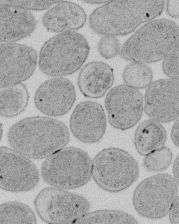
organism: E. coli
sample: Bacterial nucleoid